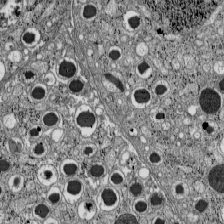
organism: C57BL Mouse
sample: Pancreatic islet